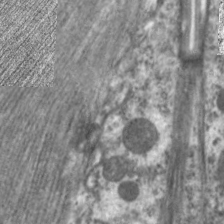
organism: C. elegans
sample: Pharynx